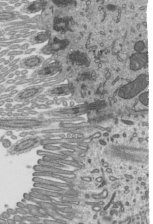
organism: Mouse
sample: Mouse epididymis efferent ductule cilia